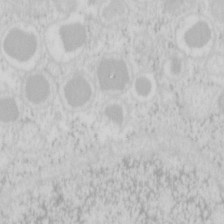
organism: Mouse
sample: Pancreas